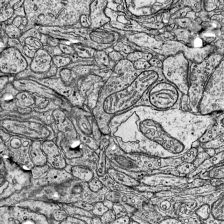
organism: Mouse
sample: Visual Cortex